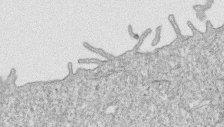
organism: Human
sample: HeLa cell HIV synapse